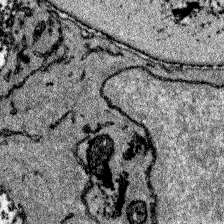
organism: Zebrafish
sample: Larval olfactory bulb